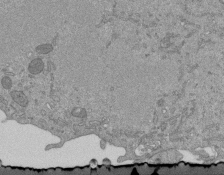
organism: Mouse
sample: ED-1 cell nuclei; centrioles